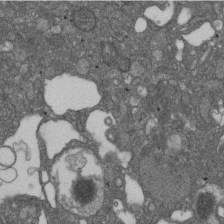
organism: Drosophila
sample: Nephrocyte